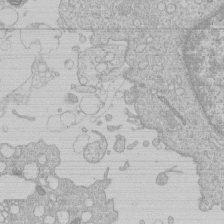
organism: Human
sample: Macrophage cells